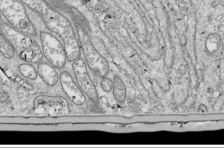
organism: Drosophila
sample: Cell division; meiosis; drosophila spermatocytes